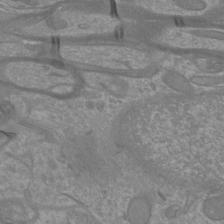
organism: Mouse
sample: Cortical neurons